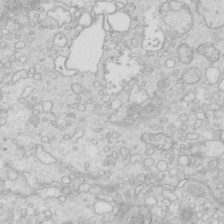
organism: Mouse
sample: Multiciliated cells